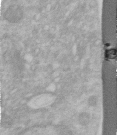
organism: Human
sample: Centriole in RPE cells